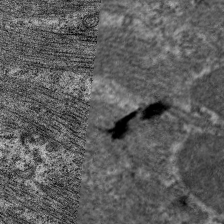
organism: C. elegans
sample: Pharynx